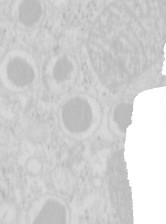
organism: Mouse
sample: Pancreas